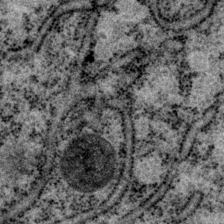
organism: P. pacificus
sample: Pharynx